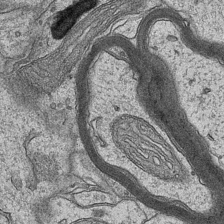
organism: Mouse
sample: CA1 Hippocampus